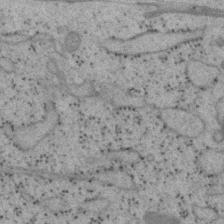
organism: Human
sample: HeLa cells